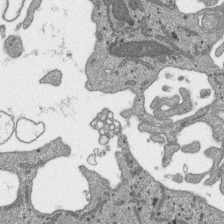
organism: Human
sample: Lung epithelial cells infected with SARS-CoV-2